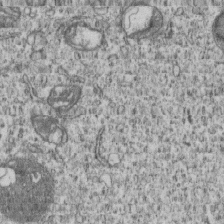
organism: Human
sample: MDA-MB-231 cells